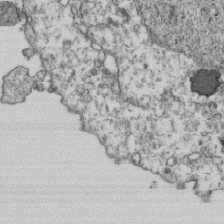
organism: Human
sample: Activated Jurkat CD4+ T cells